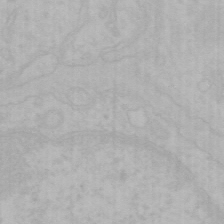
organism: Mouse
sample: Choroid plexus